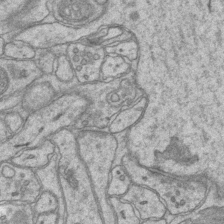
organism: Mouse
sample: CA1 Hippocampus